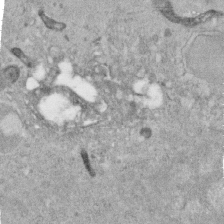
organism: Human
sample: Centriole in RPE cells